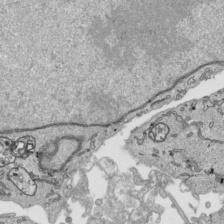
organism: Human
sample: Mitochondria in HCT116 cells